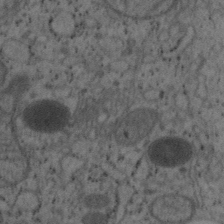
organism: Human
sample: HeLa cells